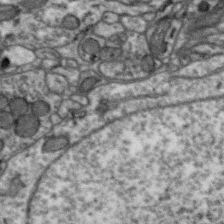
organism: Zebra finch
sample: Brain